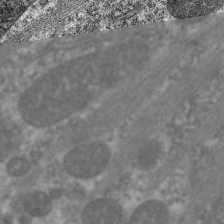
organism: C. elegans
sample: Pharynx